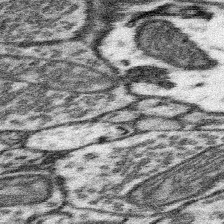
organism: Mouse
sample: Somatosensory cortex neuropil